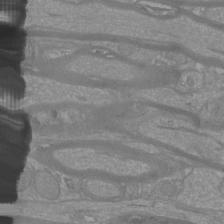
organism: Mouse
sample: Cortical neurons